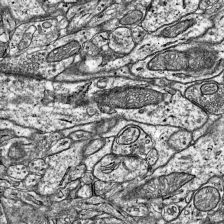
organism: Mouse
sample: Visual Cortex